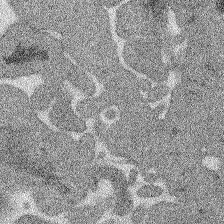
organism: Human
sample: HeLa cells